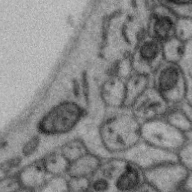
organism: Zebra finch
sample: Brain